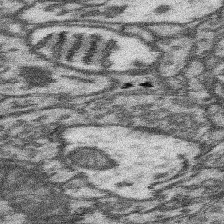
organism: Mouse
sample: Somatosensory cortex neuropil